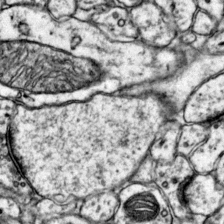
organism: Mouse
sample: Primary visual cortex